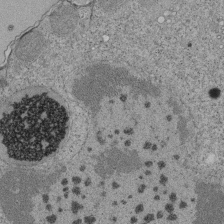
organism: Tetrahymena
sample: Cilia in tetrahymena